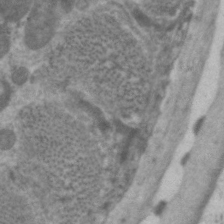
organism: C. elegans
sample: Pharynx